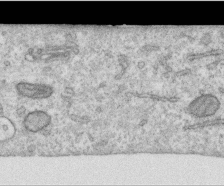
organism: Human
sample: Centriole in RPE cells